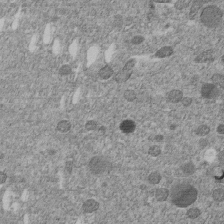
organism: C. elegans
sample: C. elegans embryo early stage